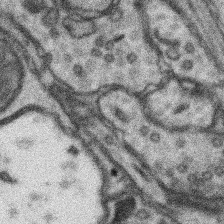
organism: Mouse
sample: Somatosensory cortex neuropil